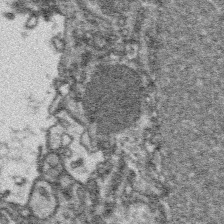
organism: Platynereis dumerilii